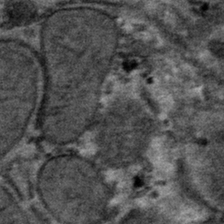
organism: Mouse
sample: Mouse hepatocytes